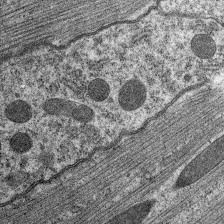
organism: C. elegans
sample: Pharynx